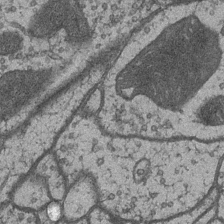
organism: Drosophila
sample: Optic medulla